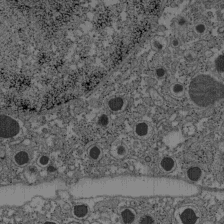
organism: C57BL Mouse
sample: Pancreatic islet